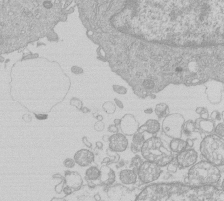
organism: Human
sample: Macrophage cells